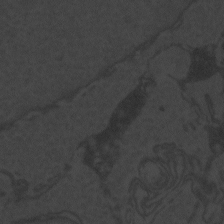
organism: Zebrafish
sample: Macrophage infected with Toxoplasma gondii